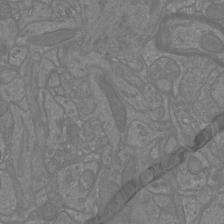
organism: Mouse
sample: Cortical neurons